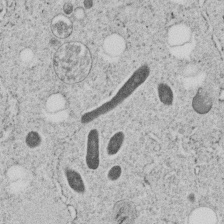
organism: C. elegans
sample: C. elegans embryo early stage